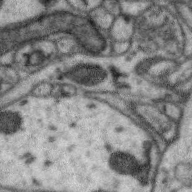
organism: Zebra finch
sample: Brain